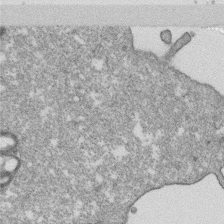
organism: African green monkey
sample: Vero E6 cells infected with SARS-CoV-2